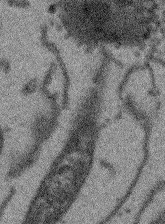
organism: Arabidopsis thaliana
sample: Root tip